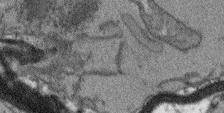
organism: Arabidopsis thaliana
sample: Root tip